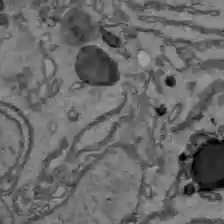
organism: C57BL Mouse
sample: Liver